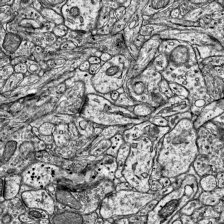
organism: Mouse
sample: Visual Cortex